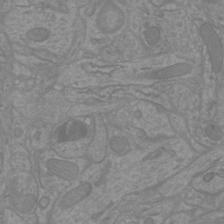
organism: Mouse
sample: Cortical neurons